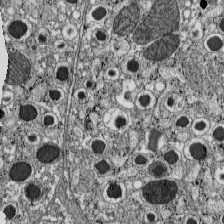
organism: C57BL Mouse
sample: Pancreatic islet